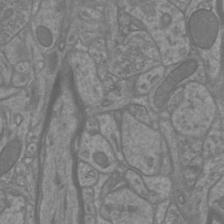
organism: Mouse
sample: Cortical neurons